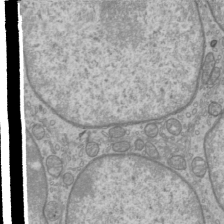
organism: Mouse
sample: Cilia; mouse epididymis